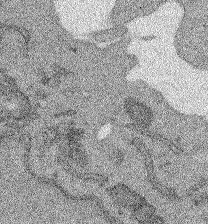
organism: Human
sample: HeLa cells